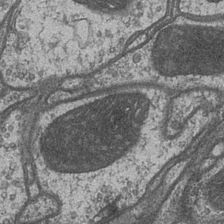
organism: Drosophila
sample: Optic medulla